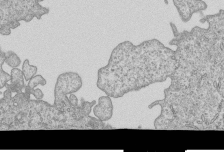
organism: Human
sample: MDA-MB-231 cells